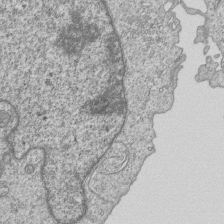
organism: Human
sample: MDA-MB-231 cells